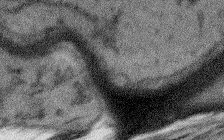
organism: Arabidopsis thaliana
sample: Root tip